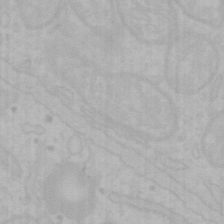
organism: Mouse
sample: Choroid plexus